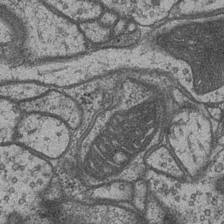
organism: Drosophila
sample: Optic medulla